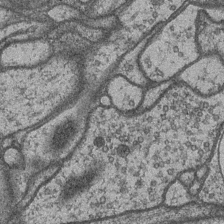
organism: Drosophila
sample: Optic medulla